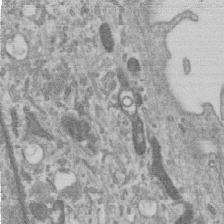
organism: Human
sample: Centriole in RPE cells